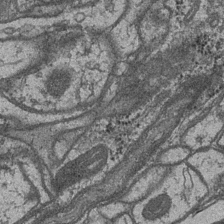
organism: Drosophila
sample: Optic medulla